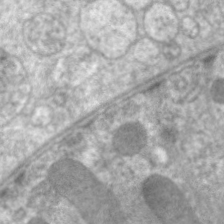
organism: C. elegans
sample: Pharynx